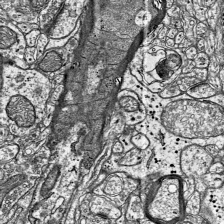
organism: Mouse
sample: Visual Cortex